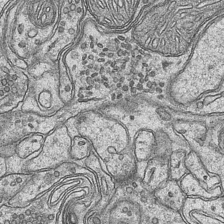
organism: Mouse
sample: CA1 Hippocampus